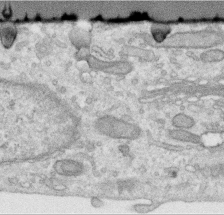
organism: Human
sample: Centriole in RPE cells